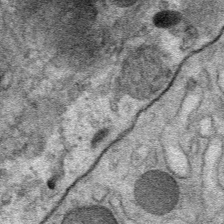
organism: Mouse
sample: Mouse Salivary gland